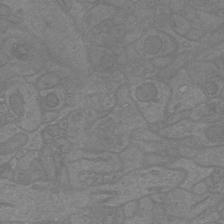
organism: Mouse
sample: Cortical neurons